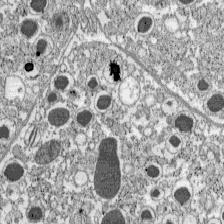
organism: C57BL Mouse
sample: Pancreatic islet